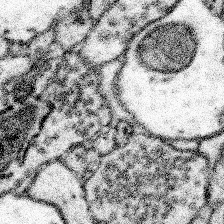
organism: Mouse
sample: Somatosensory cortex neuropil